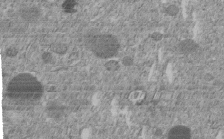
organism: C. elegans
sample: C. elegans embryo early stage